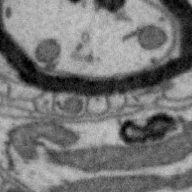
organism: Zebra finch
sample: Brain